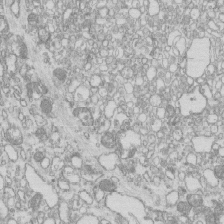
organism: Mouse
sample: Macrophages